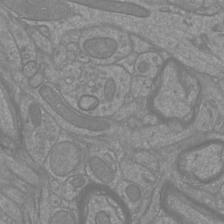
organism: Mouse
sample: Cortical neurons